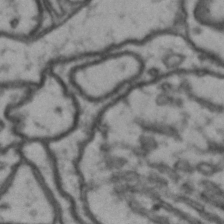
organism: Drosophila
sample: Brain